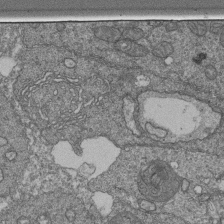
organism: Human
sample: Retinal organoid Rod and Cone cells